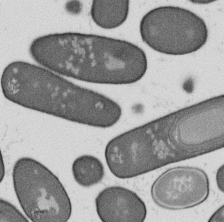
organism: B. subtilis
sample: Bacterial spore